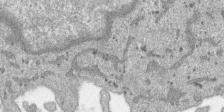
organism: Human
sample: Lung epithelial cells infected with SARS-CoV-2